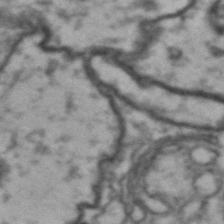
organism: Drosophila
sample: Brain